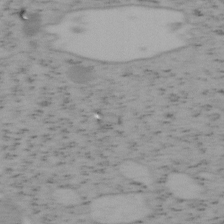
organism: Mouse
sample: OT-I killer T cells with ID8 ovarian cancer cells